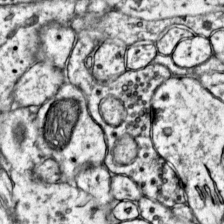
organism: Mouse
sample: Primary visual cortex